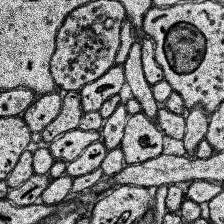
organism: Human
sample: Temporal Lobe